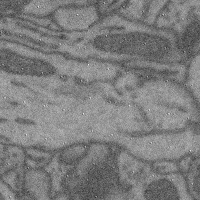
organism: Mouse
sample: Cerebral cortex